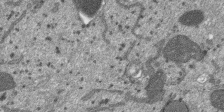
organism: Human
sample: Lung epithelial cells infected with SARS-CoV-2